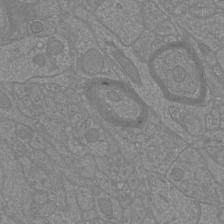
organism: Mouse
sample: Cortical neurons